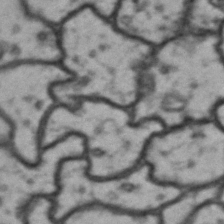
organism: Drosophila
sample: Brain